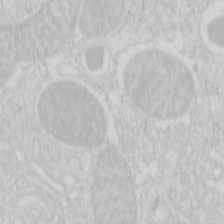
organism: Mouse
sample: Pancreas